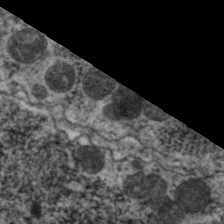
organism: C. elegans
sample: Pharynx